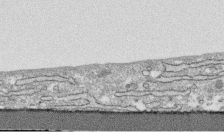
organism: Human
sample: CRL-1474